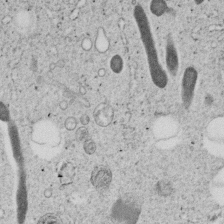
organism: C. elegans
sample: C. elegans embryo early stage